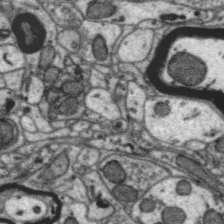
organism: Zebra finch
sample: Brain